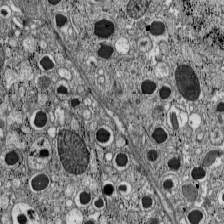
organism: C57BL Mouse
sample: Pancreatic islet